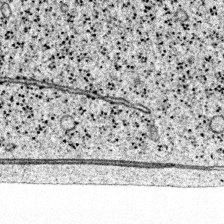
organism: Human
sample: HeLa cells